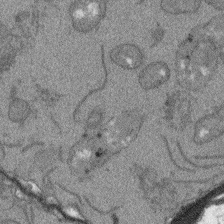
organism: Arabidopsis thaliana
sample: Root tip